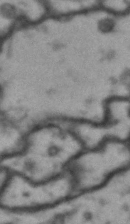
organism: Drosophila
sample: Brain